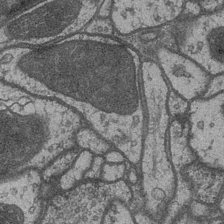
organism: Drosophila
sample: Optic medulla